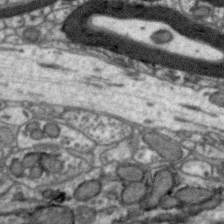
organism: Zebra finch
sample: Brain